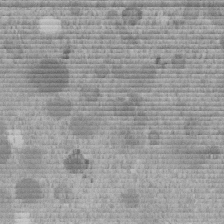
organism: C. elegans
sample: C. elegans embryo early stage